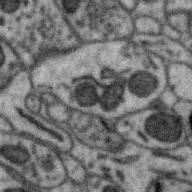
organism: Zebra finch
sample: Brain